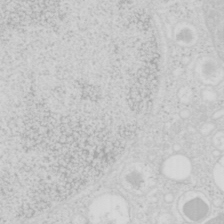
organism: Mouse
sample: Pancreas